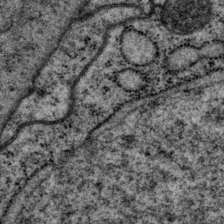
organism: P. pacificus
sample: Pharynx